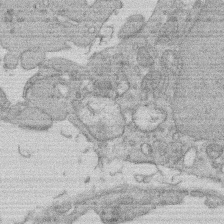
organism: Rat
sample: Salivary granule